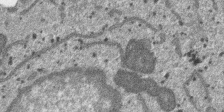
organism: Human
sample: Lung epithelial cells infected with SARS-CoV-2